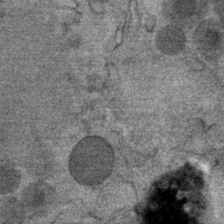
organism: Mouse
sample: Mouse Salivary gland